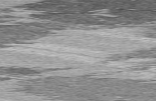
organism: C57BL Mouse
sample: Heart